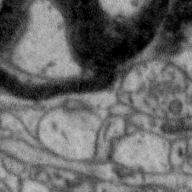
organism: Zebra finch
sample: Brain